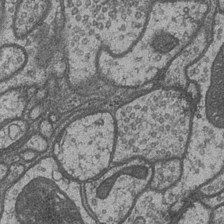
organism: Drosophila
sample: Optic medulla